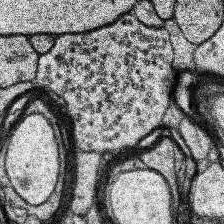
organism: Human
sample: Temporal Lobe